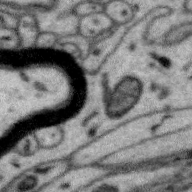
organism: Zebra finch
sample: Brain